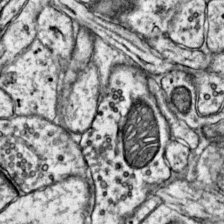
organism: Mouse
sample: Primary visual cortex